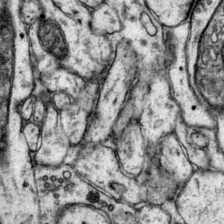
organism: Mouse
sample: Primary visual cortex